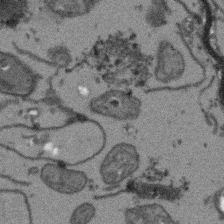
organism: Arabidopsis thaliana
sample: Root tip